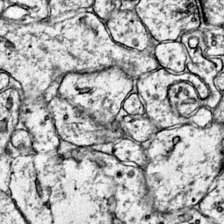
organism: Mouse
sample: Primary visual cortex